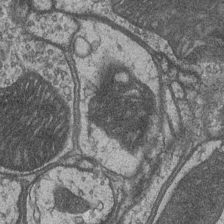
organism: Drosophila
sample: Optic medulla